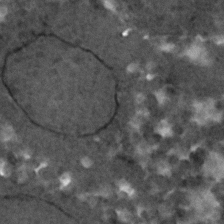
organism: C. elegans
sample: C. elegans embryo